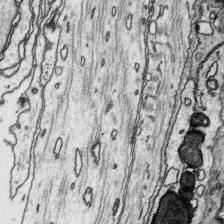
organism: Platynereis dumerilii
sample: Parapodia